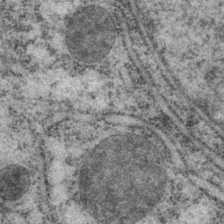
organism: P. pacificus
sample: Pharynx